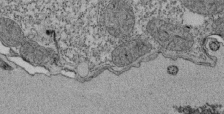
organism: Tetrahymena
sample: Cilia in tetrahymena